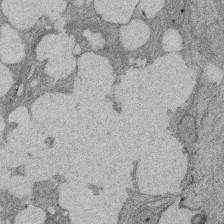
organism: Rat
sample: Salivary granule